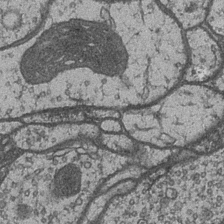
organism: Drosophila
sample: Optic medulla